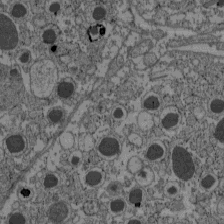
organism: C57BL Mouse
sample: Pancreatic islet